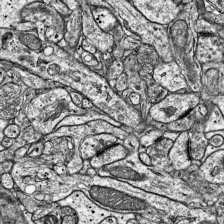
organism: Mouse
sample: Visual Cortex